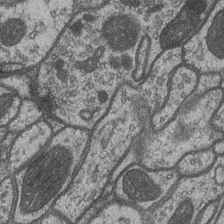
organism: Drosophila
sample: Optic medulla